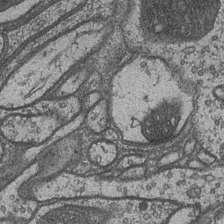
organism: Drosophila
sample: Optic medulla